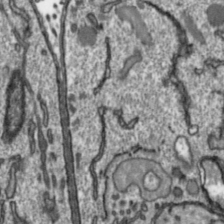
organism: Toxoplasma gondii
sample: Parasites in a vacuole inside a host cell